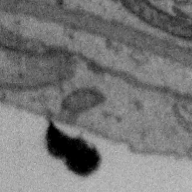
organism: Zebra finch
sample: Brain